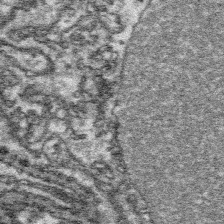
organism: Platynereis dumerilii